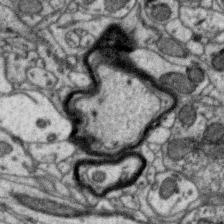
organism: Zebra finch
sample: Brain